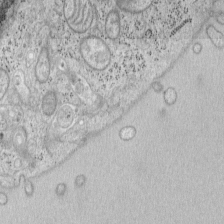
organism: Mouse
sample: OT-I killer T cells with ID8 ovarian cancer cells